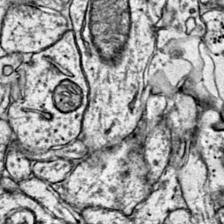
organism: Mouse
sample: Primary visual cortex